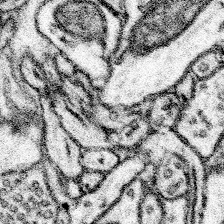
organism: Mouse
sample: Somatosensory cortex neuropil